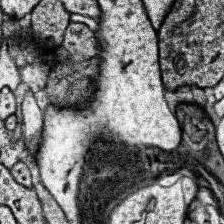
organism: Human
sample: Temporal Lobe